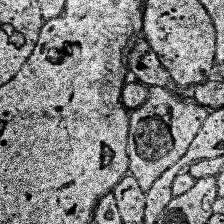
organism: Human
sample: Temporal Lobe